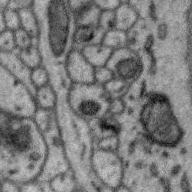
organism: Zebra finch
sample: Brain